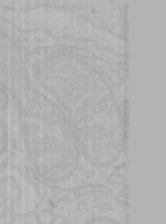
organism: Mouse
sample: Choroid plexus